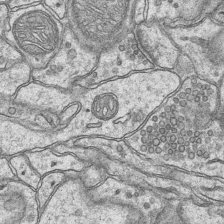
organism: Mouse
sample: CA1 Hippocampus